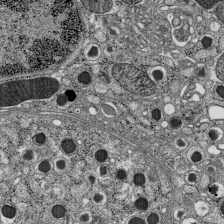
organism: C57BL Mouse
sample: Pancreatic islet